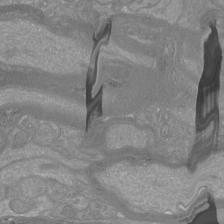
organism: Mouse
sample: Cortical neurons